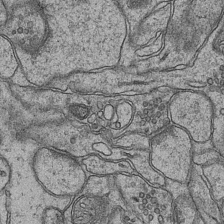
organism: Mouse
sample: CA1 Hippocampus